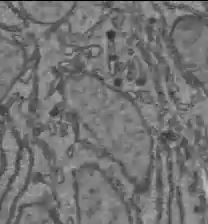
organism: C57BL Mouse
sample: Liver